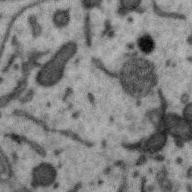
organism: Zebra finch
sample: Brain